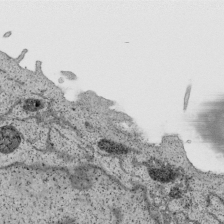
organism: Human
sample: Mitochondria in HCT116 cells